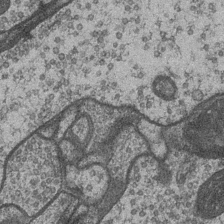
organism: Drosophila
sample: Optic medulla